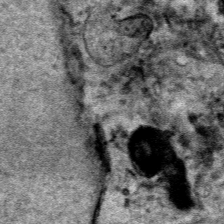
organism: Human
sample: Mitochondria in HCT116 cells